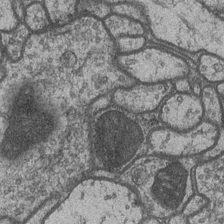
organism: Drosophila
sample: Optic medulla